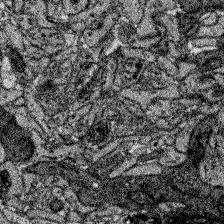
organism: Zebrafish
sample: Larval olfactory bulb